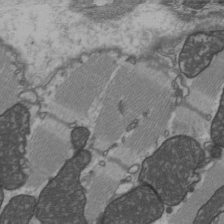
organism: C57BL Mouse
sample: Heart